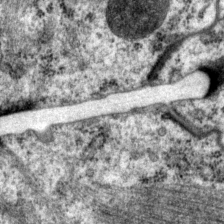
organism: P. pacificus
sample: Pharynx